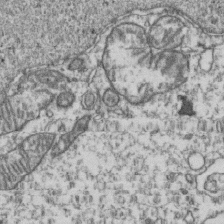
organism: Human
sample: Activated Jurkat CD4+ T cells